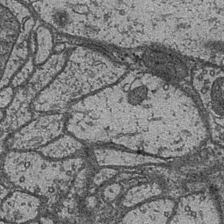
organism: Drosophila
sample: Optic medulla